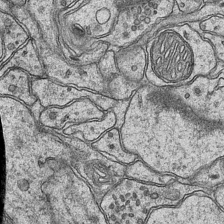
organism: Mouse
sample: CA1 Hippocampus